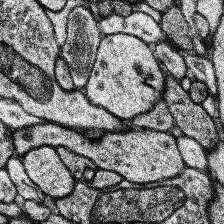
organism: Human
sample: Temporal Lobe